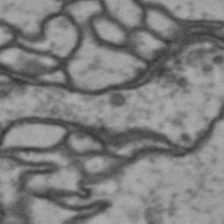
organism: Drosophila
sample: Brain